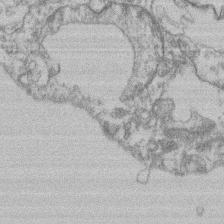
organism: Mouse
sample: T cell stromal cell synapse